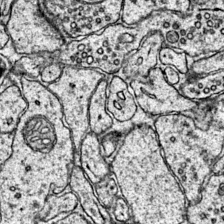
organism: Mouse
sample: Primary visual cortex